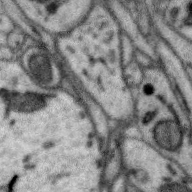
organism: Zebra finch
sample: Brain